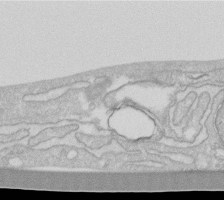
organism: Human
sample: Fibroblast cells